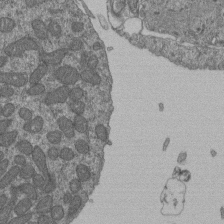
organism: Human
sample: Retinal organoid Rod and Cone cells